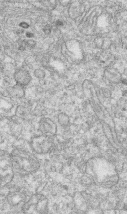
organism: Human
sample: HeLa cell HIV synapse